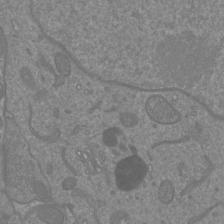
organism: Mouse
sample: Cortical neurons